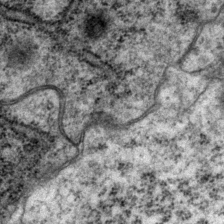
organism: P. pacificus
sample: Pharynx